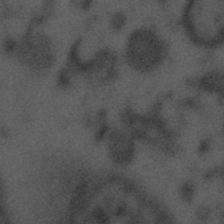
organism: Tuwongella immobilis